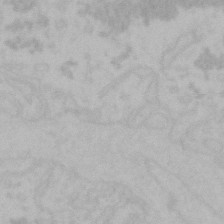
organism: Mouse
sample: Choroid plexus